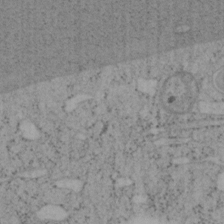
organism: Mouse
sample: OT-I killer T cells with ID8 ovarian cancer cells